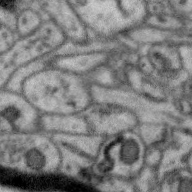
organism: Zebra finch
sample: Brain